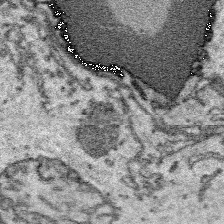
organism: Platynereis dumerilii